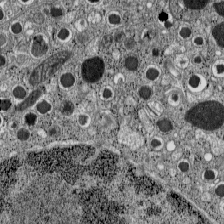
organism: C57BL Mouse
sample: Pancreatic islet